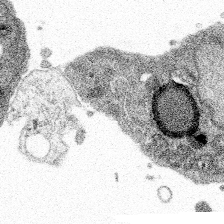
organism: Spongilla lacustris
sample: Multiple